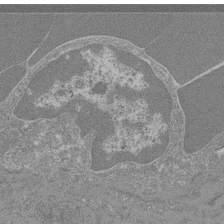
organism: Mouse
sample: Glomerulus